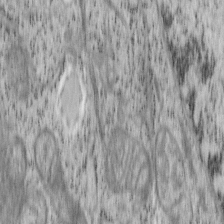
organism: Human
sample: HeLa cells